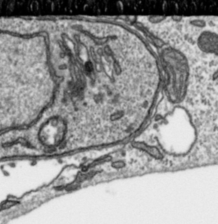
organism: Toxoplasma gondii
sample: Parasites in a vacuole inside a host cell